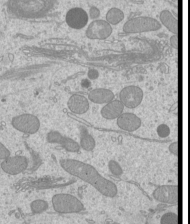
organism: Mouse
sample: Cilia; mouse epididymis